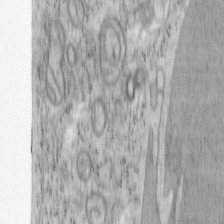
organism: Human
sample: HeLa cells